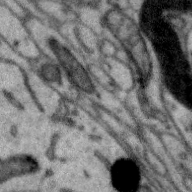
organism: Zebra finch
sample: Brain